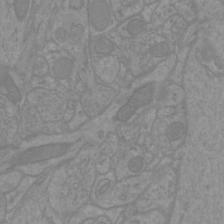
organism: Mouse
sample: Cortical neurons